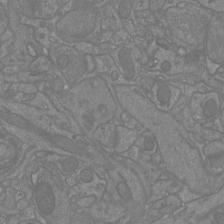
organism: Mouse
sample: Cortical neurons